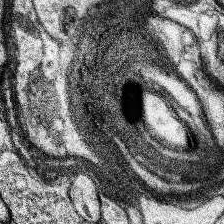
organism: Human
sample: Temporal Lobe